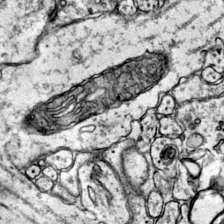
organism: Mouse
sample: Primary visual cortex